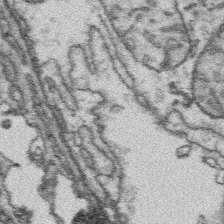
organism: Platynereis dumerilii